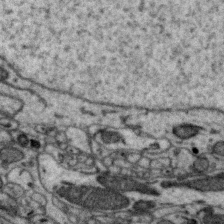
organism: Zebra finch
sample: Brain